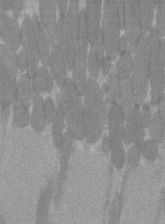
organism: C57BL Mouse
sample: Tibialis anterior muscle cell